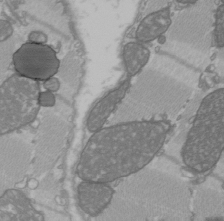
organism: C57BL Mouse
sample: Heart